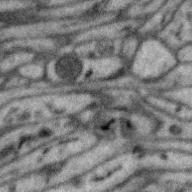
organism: Zebra finch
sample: Brain